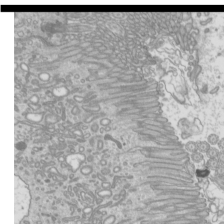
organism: Mouse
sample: Cilia; mouse epididymis